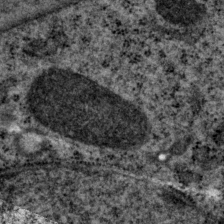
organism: P. pacificus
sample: Pharynx